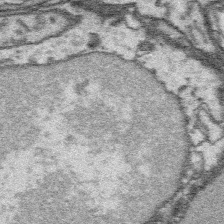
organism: Platynereis dumerilii